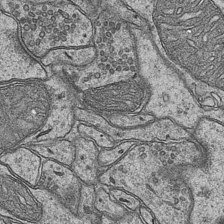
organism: Mouse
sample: CA1 Hippocampus